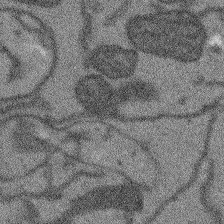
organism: Arabidopsis thaliana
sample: Root tip